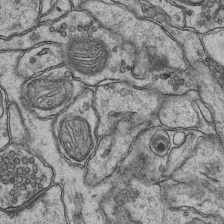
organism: Mouse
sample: CA1 Hippocampus